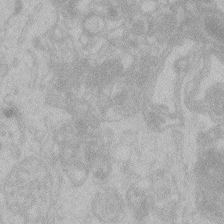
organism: Zebrafish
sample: Macrophage infected with Toxoplasma gondii